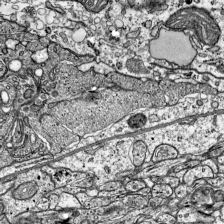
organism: Mouse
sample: Visual Cortex